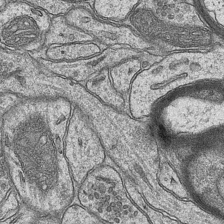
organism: Mouse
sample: CA1 Hippocampus